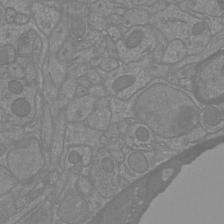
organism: Mouse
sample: Cortical neurons